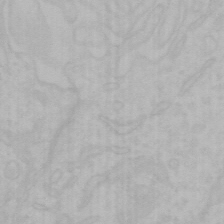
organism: Mouse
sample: Choroid plexus